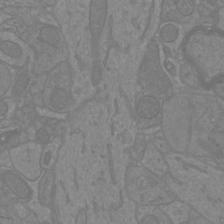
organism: Mouse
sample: Cortical neurons